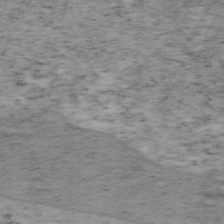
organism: Mouse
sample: OT-I killer T cells with ID8 ovarian cancer cells